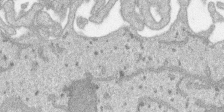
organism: Human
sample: Lung epithelial cells infected with SARS-CoV-2